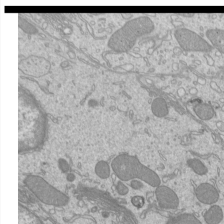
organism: Mouse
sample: Cilia; mouse epididymis